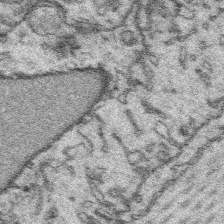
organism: Platynereis dumerilii